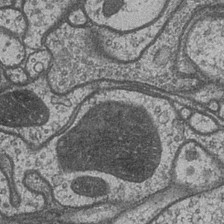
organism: Drosophila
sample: Optic medulla